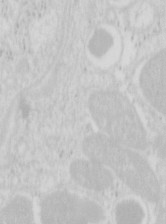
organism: Mouse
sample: Pancreas